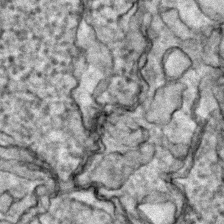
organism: Zebrafish